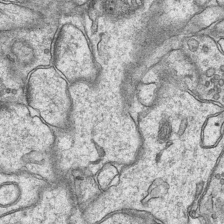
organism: Mouse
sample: CA1 Hippocampus